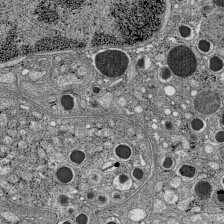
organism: C57BL Mouse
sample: Pancreatic islet